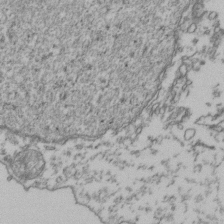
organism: Human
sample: Activated Jurkat CD4+ T cells